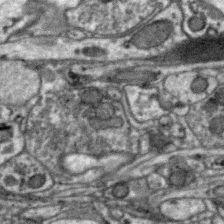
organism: Zebra finch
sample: Brain